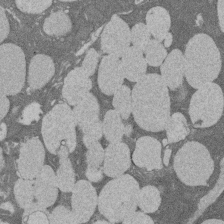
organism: Rat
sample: Salivary granule